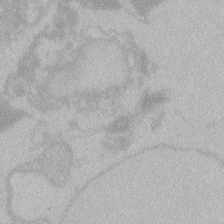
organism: Zebrafish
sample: Macrophage infected with Toxoplasma gondii